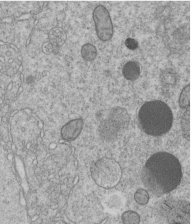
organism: C. elegans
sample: C. elegans embryo early stage